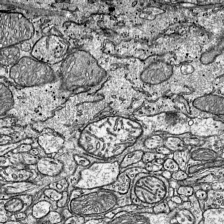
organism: Mouse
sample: Visual Cortex